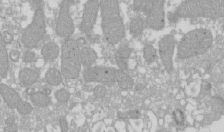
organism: Xenopus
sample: Cilia; centrioles in frog embryo cells